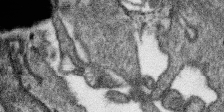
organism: Human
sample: Lung epithelial cells infected with SARS-CoV-2